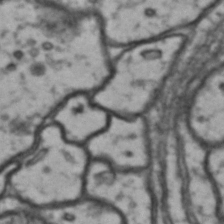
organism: Drosophila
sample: Brain